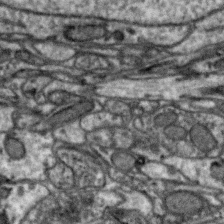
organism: Zebra finch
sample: Brain